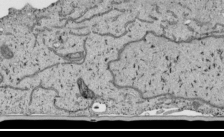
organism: Human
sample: Mitochondria in HCT116 cells